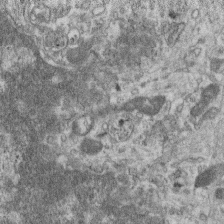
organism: Mouse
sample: Centriole in ependymal cells